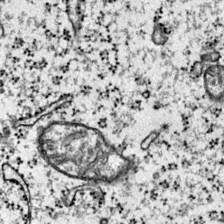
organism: Mouse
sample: Primary visual cortex